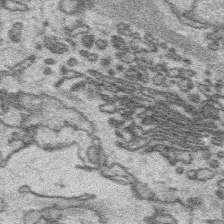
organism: Platynereis dumerilii